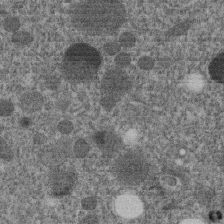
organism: C. elegans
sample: C. elegans embryo early stage